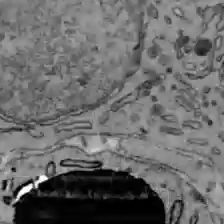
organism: C57BL Mouse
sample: Liver